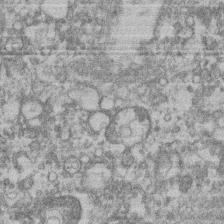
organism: Mouse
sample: T cell stromal cell synapse